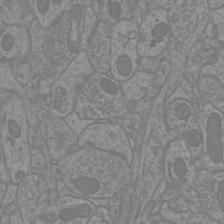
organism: Mouse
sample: Cortical neurons